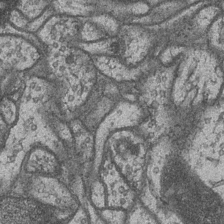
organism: Drosophila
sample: Optic medulla